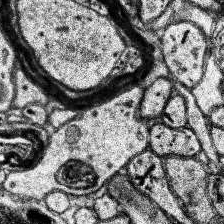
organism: Human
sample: Temporal Lobe